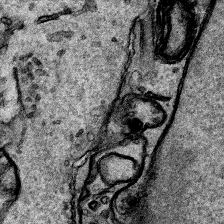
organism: Human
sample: Mitochondria in HCT116 cells